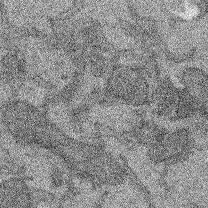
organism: Human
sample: HeLa cells